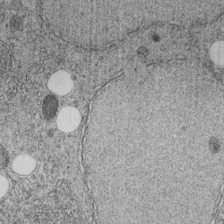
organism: C. elegans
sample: C. elegans embryo early stage